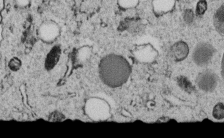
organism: C. elegans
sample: C. elegans embryo early stage